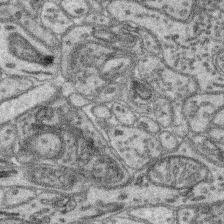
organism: Mouse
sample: Retina